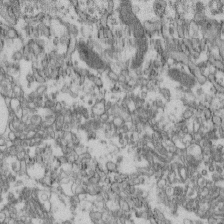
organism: Mouse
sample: Cilia; retinal pigment epithelium